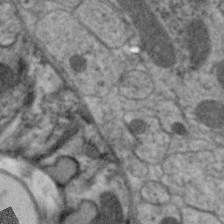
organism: C. elegans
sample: Pharynx